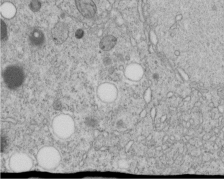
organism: C. elegans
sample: C. elegans embryo early stage